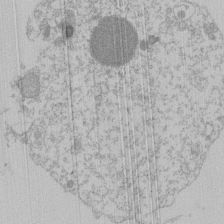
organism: Mouse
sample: Activated Pmel transgenic CD8+ T Cells